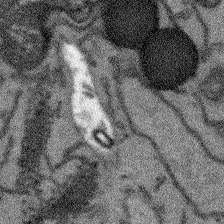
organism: Arabidopsis thaliana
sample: Root tip